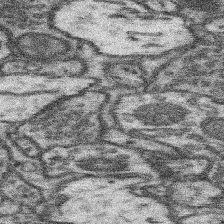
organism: Mouse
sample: Somatosensory cortex neuropil